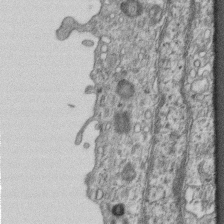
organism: Mouse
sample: Centriole in ependymal cells